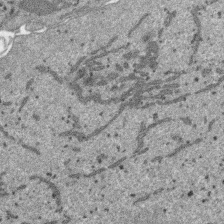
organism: Human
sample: Lung epithelial cells infected with SARS-CoV-2